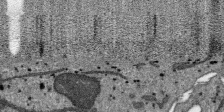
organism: Human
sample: Lung epithelial cells, uninfected (mock) control